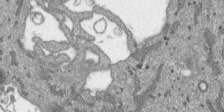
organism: Human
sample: Lung epithelial cells infected with SARS-CoV-2